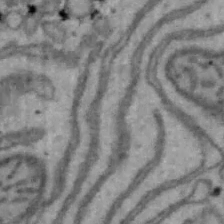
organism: Mouse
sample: Liver